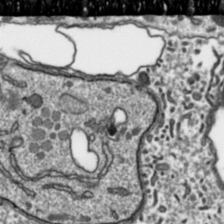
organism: Toxoplasma gondii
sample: Parasites in a vacuole inside a host cell